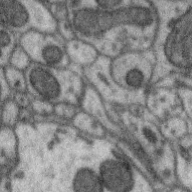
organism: Zebra finch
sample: Brain